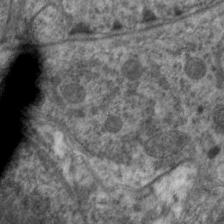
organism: C. elegans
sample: Pharynx